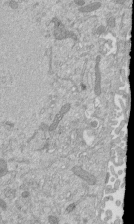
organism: Mouse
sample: ED-1 cell nuclei; centrioles